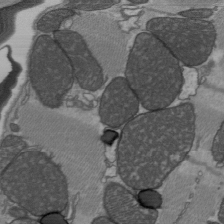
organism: C57BL Mouse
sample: Heart